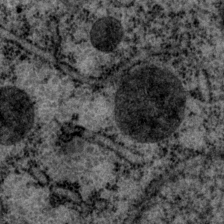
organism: P. pacificus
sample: Pharynx